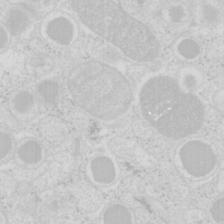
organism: Mouse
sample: Pancreas